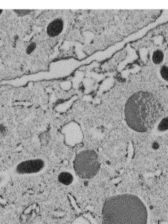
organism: C. elegans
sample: C. elegans embryo early stage